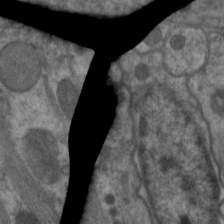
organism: C. elegans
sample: Pharynx